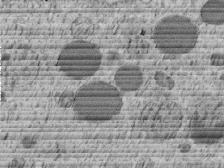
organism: C. elegans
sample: C. elegans embryo early stage